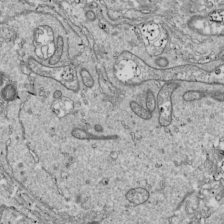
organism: Drosophila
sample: Cell division; meiosis; drosophila spermatocytes